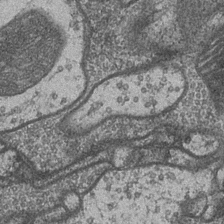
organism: Drosophila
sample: Optic medulla